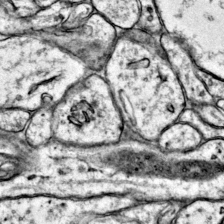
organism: Mouse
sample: Primary visual cortex